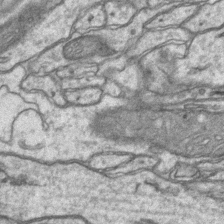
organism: Mouse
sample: CA1 Hippocampus